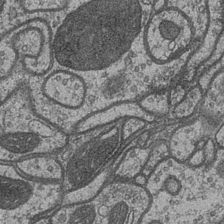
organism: Drosophila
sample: Optic medulla